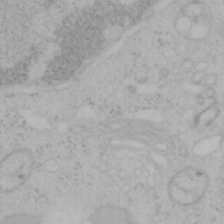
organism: Mouse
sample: OT-I killer T cells with ID8 ovarian cancer cells